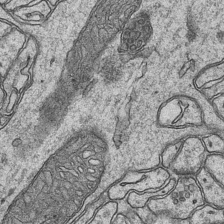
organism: Mouse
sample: CA1 Hippocampus